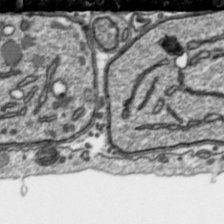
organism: Toxoplasma gondii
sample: Parasites in a vacuole inside a host cell